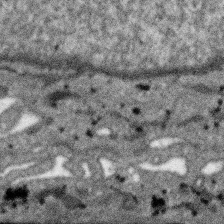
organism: Human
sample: Lung epithelial cells infected with SARS-CoV-2